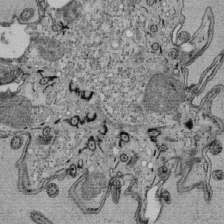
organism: Tetrahymena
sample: Cilia in tetrahymena